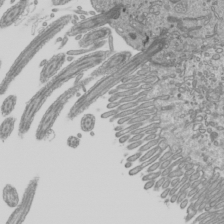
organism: Mouse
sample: Cilia; mouse epididymis